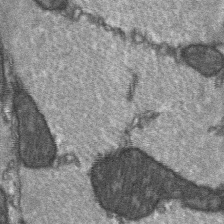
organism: C57BL Mouse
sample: Soleus